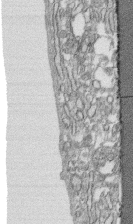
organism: Human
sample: CRL-1474